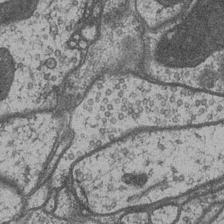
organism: Drosophila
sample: Optic medulla